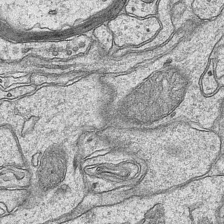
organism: Mouse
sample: CA1 Hippocampus